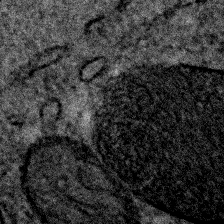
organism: C. elegans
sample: C. elegans embryo